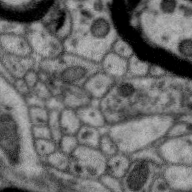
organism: Zebra finch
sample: Brain